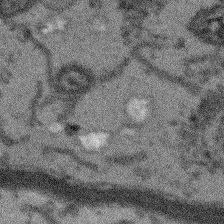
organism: Arabidopsis thaliana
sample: Root tip